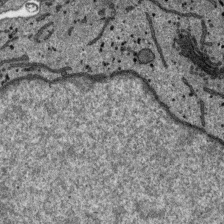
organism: Human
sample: Lung epithelial cells, uninfected (mock) control